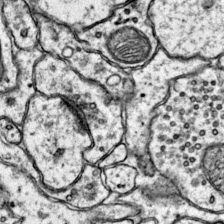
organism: Mouse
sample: Primary visual cortex